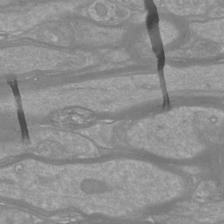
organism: Mouse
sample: Cortical neurons